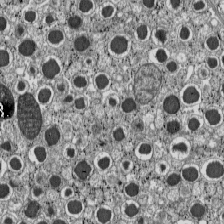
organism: C57BL Mouse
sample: Pancreatic islet